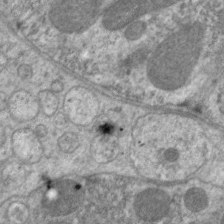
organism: C. elegans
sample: Pharynx